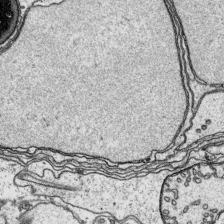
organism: Platynereis dumerilii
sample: Parapodia